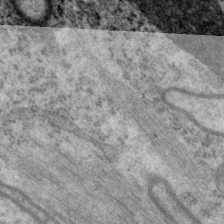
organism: P. pacificus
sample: Pharynx